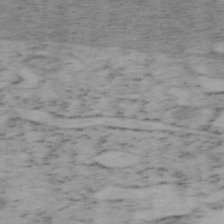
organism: Mouse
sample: OT-I killer T cells with ID8 ovarian cancer cells